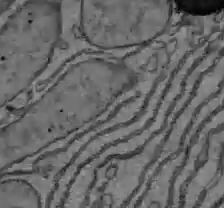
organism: C57BL Mouse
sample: Liver